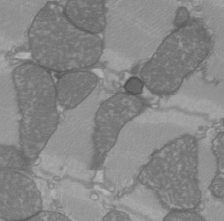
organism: C57BL Mouse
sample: Heart